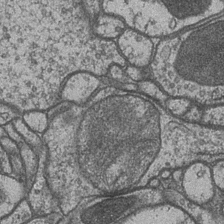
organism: Drosophila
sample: Optic medulla